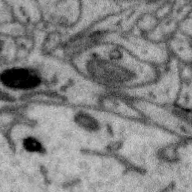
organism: Zebra finch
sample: Brain